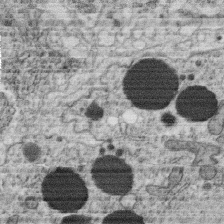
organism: C. elegans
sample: C. elegans oocyte; sperm cells